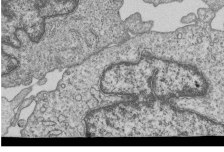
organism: Human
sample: MDA-MB-231 cells